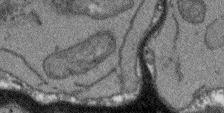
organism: Arabidopsis thaliana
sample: Root tip